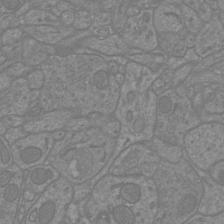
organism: Mouse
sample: Cortical neurons